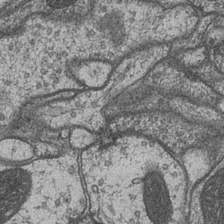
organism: Drosophila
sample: Optic medulla